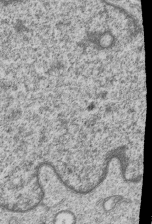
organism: Human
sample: MDA-MB-231 cells